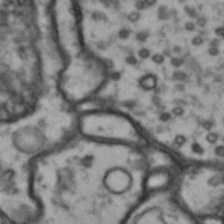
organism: Drosophila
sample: Brain